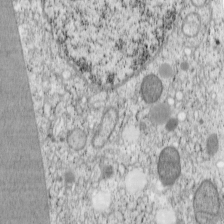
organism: African green monkey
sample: COS-7 cells